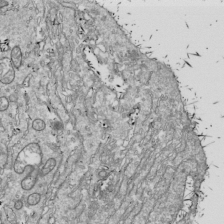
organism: Drosophila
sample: Cell division; meiosis; drosophila spermatocytes